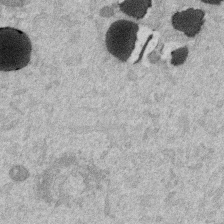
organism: Mouse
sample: Dividing mouse embryo 1 cell stage